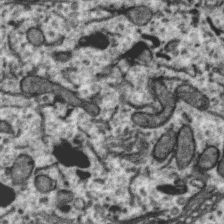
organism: Zebra finch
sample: Brain